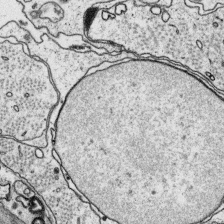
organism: Platynereis dumerilii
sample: Parapodia